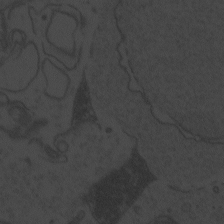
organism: Zebrafish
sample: Macrophage infected with Toxoplasma gondii